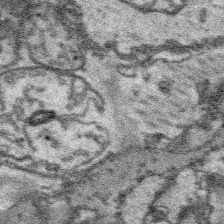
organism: Platynereis dumerilii